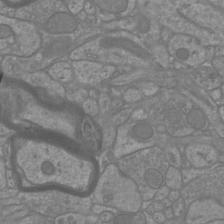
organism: Mouse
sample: Cortical neurons